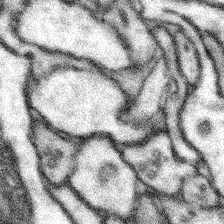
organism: Mouse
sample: Somatosensory cortex neuropil